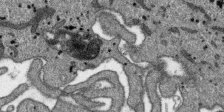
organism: Human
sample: Lung epithelial cells, uninfected (mock) control